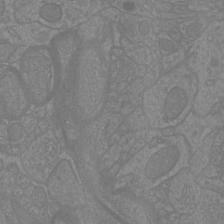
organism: Mouse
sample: Cortical neurons